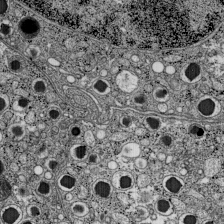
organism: C57BL Mouse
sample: Pancreatic islet